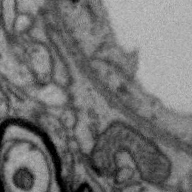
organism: Zebra finch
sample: Brain